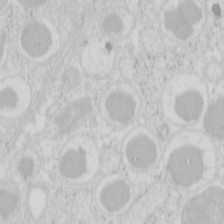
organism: Mouse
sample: Pancreas